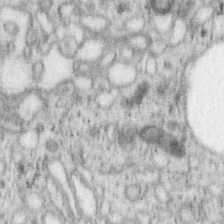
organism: Mouse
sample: OT-I killer T cells with ID8 ovarian cancer cells